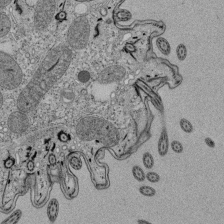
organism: Tetrahymena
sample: Cilia in tetrahymena